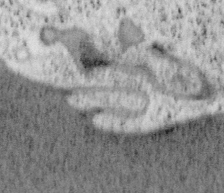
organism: Mouse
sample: OT-I killer T cells with ID8 ovarian cancer cells